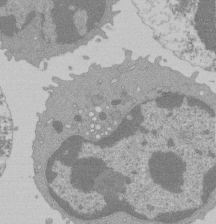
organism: Mouse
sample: Activated Pmel transgenic CD8+ T Cells